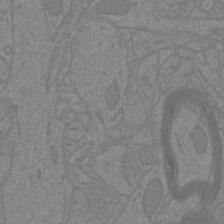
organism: Mouse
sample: Cortical neurons